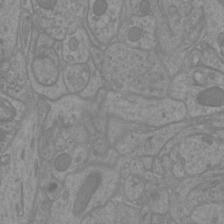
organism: Mouse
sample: Cortical neurons